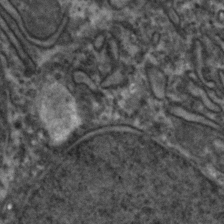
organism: Zebrafish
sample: Zebrafish embryo